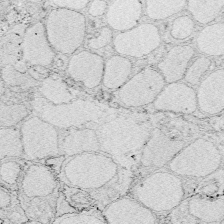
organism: Zebrafish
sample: Whole-Brain